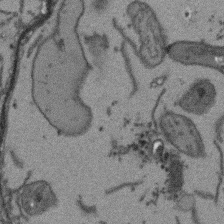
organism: Arabidopsis thaliana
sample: Root tip